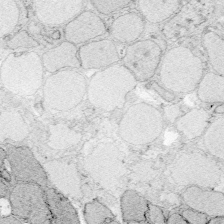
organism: Zebrafish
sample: Whole-Brain